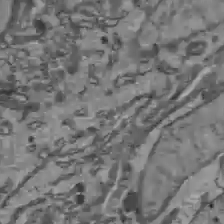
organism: C57BL Mouse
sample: Liver